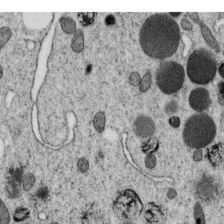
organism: C. elegans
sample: C. elegans oocyte; sperm cells